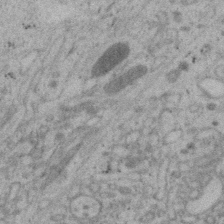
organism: Human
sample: HeLa cells